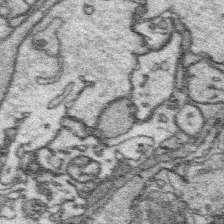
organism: Platynereis dumerilii